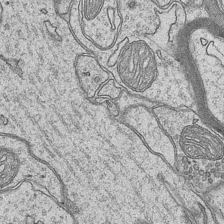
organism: Mouse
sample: CA1 Hippocampus